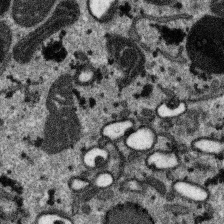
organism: Human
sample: Lung epithelial cells infected with SARS-CoV-2